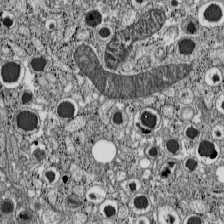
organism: C57BL Mouse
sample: Pancreatic islet